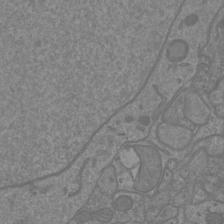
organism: Mouse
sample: Cortical neurons